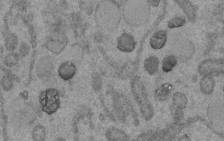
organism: C. elegans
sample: C. elegans embryo early stage